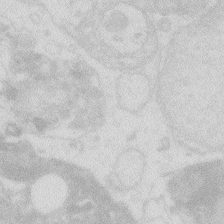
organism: Zebrafish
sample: Macrophage